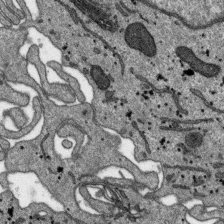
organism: Human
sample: Lung epithelial cells, uninfected (mock) control